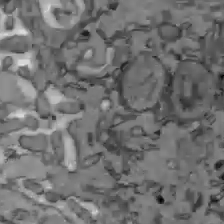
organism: C57BL Mouse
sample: Liver